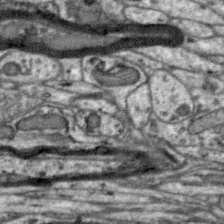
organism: Zebra finch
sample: Brain